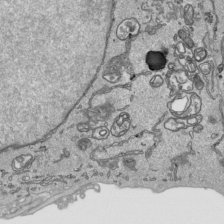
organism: Human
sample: Mitochondria in HCT116 cells